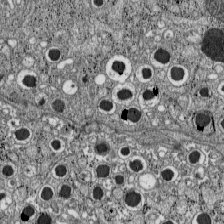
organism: C57BL Mouse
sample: Pancreatic islet